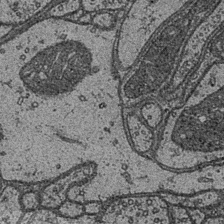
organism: Drosophila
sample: Optic medulla